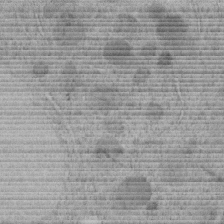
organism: C. elegans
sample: C. elegans embryo early stage